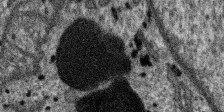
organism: Human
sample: Lung epithelial cells infected with SARS-CoV-2